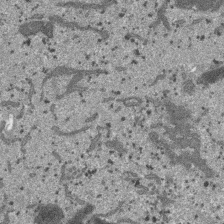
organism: Human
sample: Lung epithelial cells infected with SARS-CoV-2